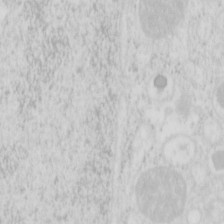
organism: Mouse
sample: Pancreas